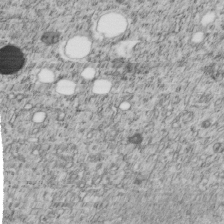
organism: C. elegans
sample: C. elegans embryo early stage